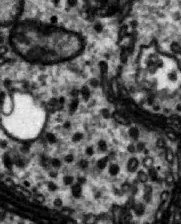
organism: Human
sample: HeLa cells